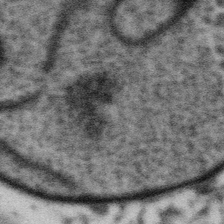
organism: Gemmata obscuriglobus